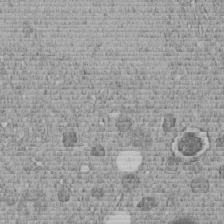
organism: C. elegans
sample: C. elegans embryo early stage